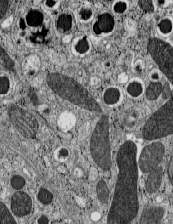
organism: C57BL Mouse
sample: Pancreatic islet